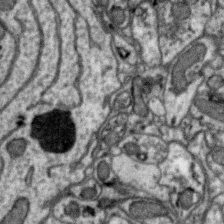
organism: Zebra finch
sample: Brain